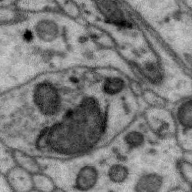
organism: Zebra finch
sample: Brain